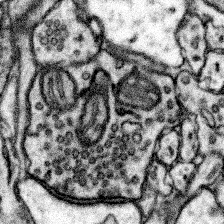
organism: Mouse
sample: Somatosensory cortex neuropil